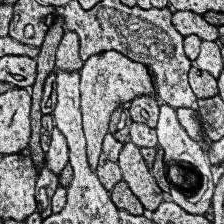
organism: Human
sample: Temporal Lobe